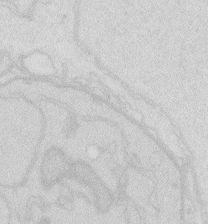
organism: Zebrafish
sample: Macrophage